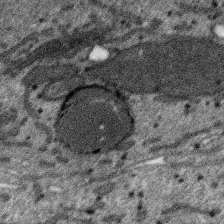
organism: Human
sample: Lung epithelial cells infected with SARS-CoV-2